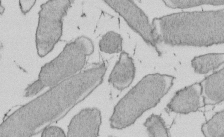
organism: E. coli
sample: Bacterial nucleoid